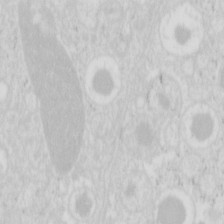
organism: Mouse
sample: Pancreas